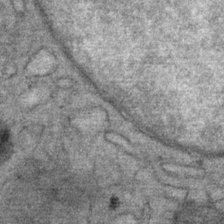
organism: Mouse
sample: Mouse Salivary gland